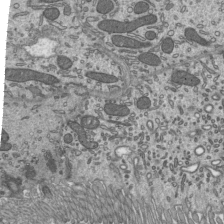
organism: Mouse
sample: Mouse epididymis efferent ductule cilia